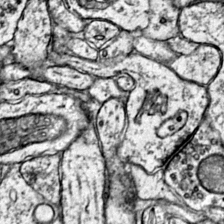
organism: Mouse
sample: Primary visual cortex